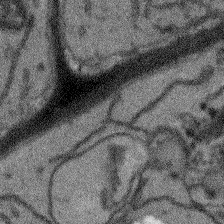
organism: Arabidopsis thaliana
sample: Root tip